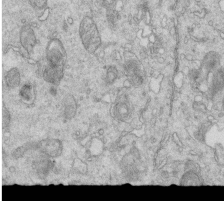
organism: Mouse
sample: Multiciliated cells